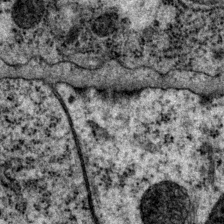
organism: P. pacificus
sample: Pharynx